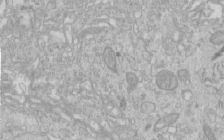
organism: Human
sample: Centriole in RPE cells